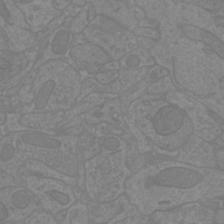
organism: Mouse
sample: Cortical neurons